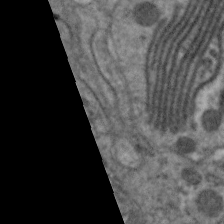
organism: C. elegans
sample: Pharynx